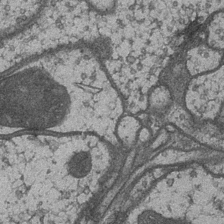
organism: Drosophila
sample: Optic medulla